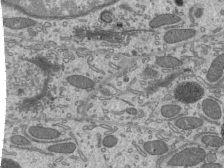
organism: Mouse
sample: Mouse epididymis efferent ductule cilia